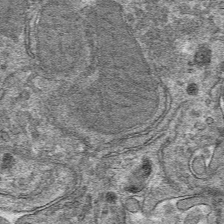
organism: Mouse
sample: Mouse hepatocytes